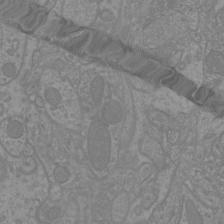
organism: Mouse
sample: Cortical neurons